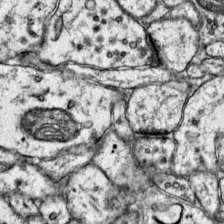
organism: Mouse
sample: Primary visual cortex